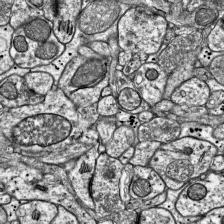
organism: Mouse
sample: Visual Cortex